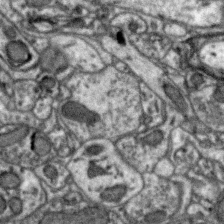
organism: Zebra finch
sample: Brain